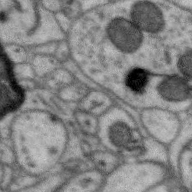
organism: Zebra finch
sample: Brain